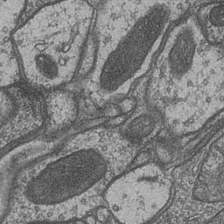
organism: Drosophila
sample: Optic medulla